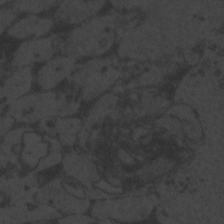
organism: Zebrafish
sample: Macrophage infected with Toxoplasma gondii